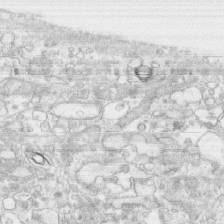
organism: Human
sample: CRL-1474